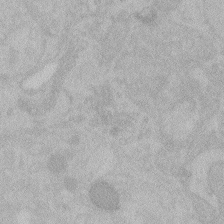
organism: Zebrafish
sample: Macrophage infected with Toxoplasma gondii